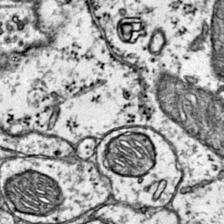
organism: Mouse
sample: Primary visual cortex